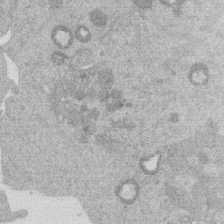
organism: Mouse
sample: Dividing mouse embryo 1 cell stage